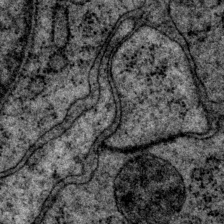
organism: P. pacificus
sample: Pharynx